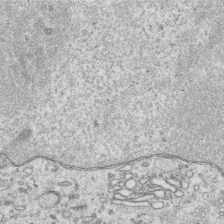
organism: Human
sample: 1205lu cells